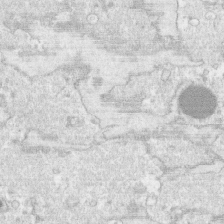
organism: Human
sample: CRL-1474